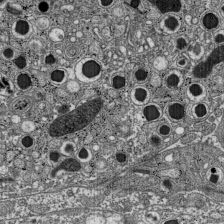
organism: C57BL Mouse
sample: Pancreatic islet